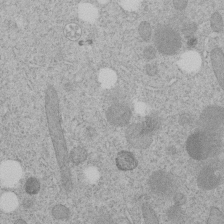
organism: C. elegans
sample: C. elegans embryo early stage